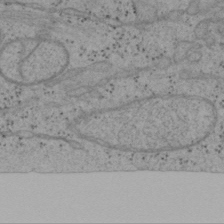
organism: Human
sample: HeLa cells